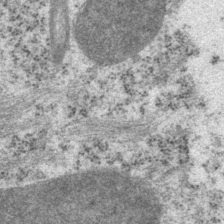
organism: P. pacificus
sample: Pharynx